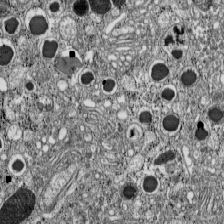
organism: C57BL Mouse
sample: Pancreatic islet